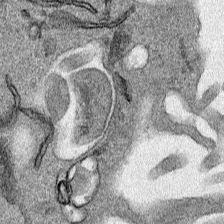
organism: Human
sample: Mitochondria in HCT116 cells